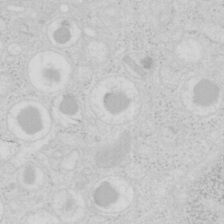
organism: Mouse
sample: Pancreas